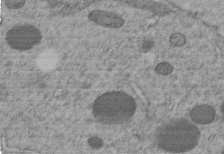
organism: C. elegans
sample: C. elegans embryo early stage